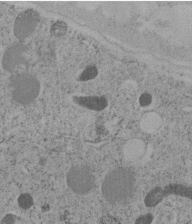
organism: C. elegans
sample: C. elegans embryo early stage